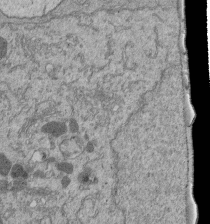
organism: Human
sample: Retinal organoid Rod and Cone cells